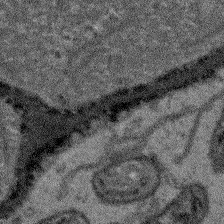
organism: Arabidopsis thaliana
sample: Root tip